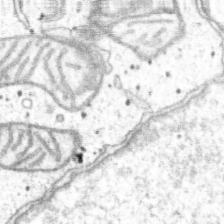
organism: Human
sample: HeLa cells